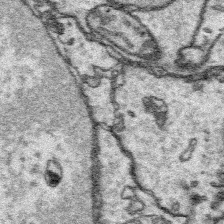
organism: Platynereis dumerilii